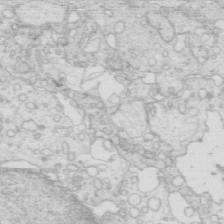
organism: Mouse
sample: Multiciliated cells